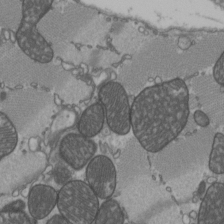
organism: C57BL Mouse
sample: Heart